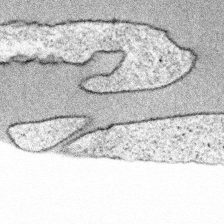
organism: Human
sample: HeLa cells